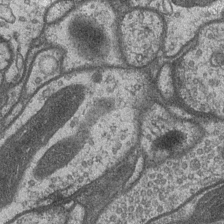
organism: Drosophila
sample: Optic medulla